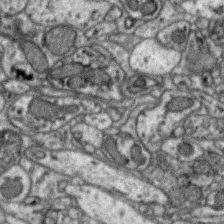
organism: Zebra finch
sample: Brain